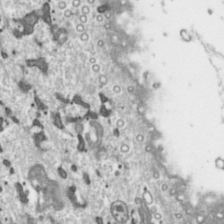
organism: Toxoplasma gondii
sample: Parasites in a vacuole inside a host cell